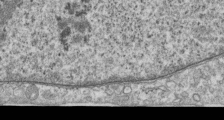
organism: Human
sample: Centriole in RPE cells